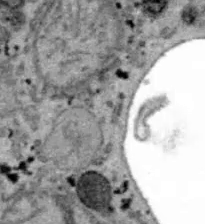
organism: Mouse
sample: Liver from an obese (ob/ob) mouse